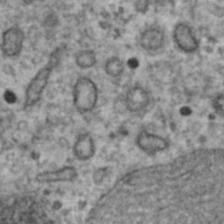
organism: Human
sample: Blood